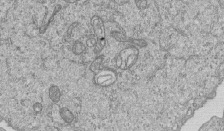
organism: Human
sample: MDA-MB-231 cells